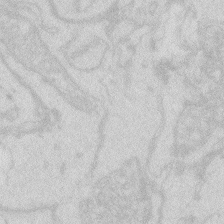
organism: Zebrafish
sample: Macrophage